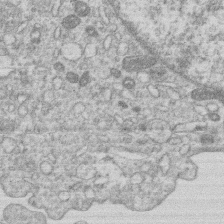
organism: Human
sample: Macrophage cells